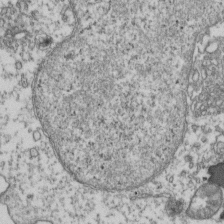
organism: Human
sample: Activated Jurkat CD4+ T cells